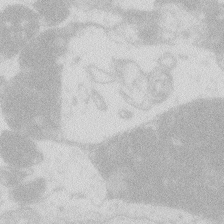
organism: Zebrafish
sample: Macrophage